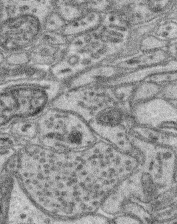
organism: Mouse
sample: Retina